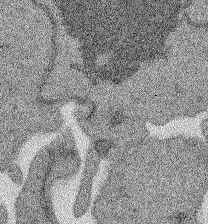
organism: Human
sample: HeLa cells